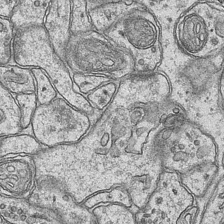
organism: Mouse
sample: CA1 Hippocampus